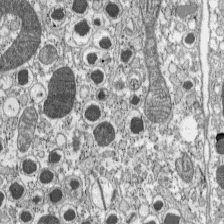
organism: C57BL Mouse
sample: Pancreatic islet